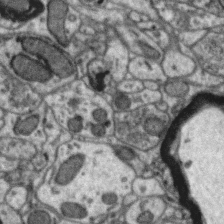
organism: Zebra finch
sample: Brain